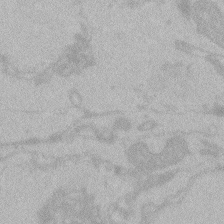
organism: Zebrafish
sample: Macrophage infected with Toxoplasma gondii